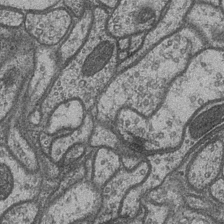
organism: Drosophila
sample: Optic medulla